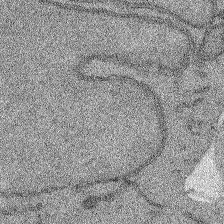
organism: Human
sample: HeLa cells